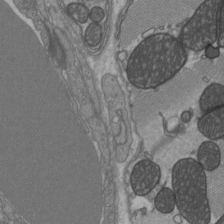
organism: C57BL Mouse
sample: Heart